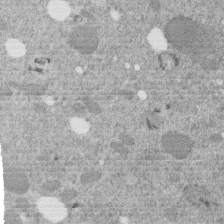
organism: C. elegans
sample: C. elegans embryo early stage